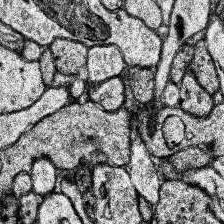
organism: Human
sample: Temporal Lobe